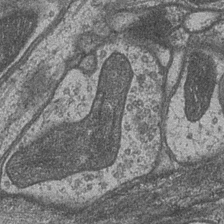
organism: Drosophila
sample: Optic medulla